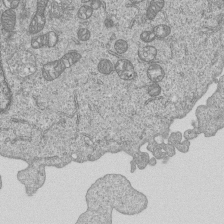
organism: Human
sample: MDA-MB-231 cells